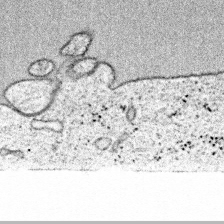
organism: Human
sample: HeLa cells